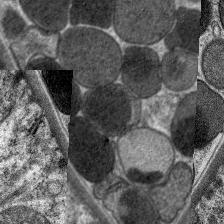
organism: C. elegans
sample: Pharynx